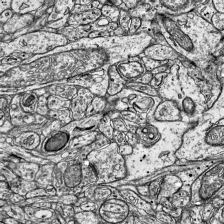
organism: Mouse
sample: Visual Cortex